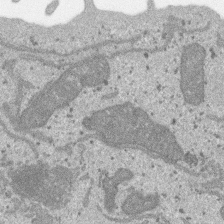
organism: Human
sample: Lung epithelial cells infected with SARS-CoV-2